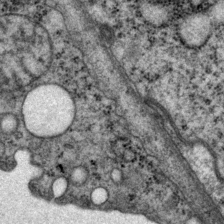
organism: P. pacificus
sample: Pharynx